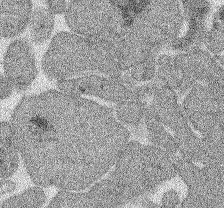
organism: Human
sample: HeLa cells